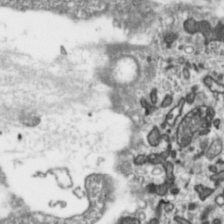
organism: Toxoplasma gondii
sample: Parasites in a vacuole inside a host cell